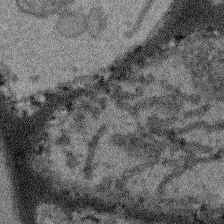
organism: Arabidopsis thaliana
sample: Root tip